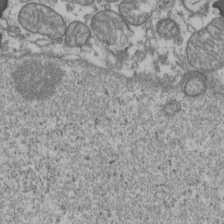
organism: Human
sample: Activated Jurkat CD4+ T cells